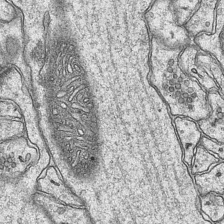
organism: Mouse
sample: CA1 Hippocampus